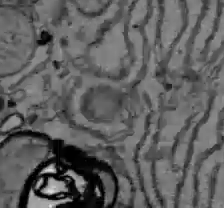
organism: C57BL Mouse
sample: Liver